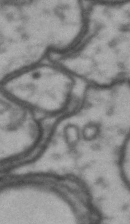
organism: Drosophila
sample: Brain